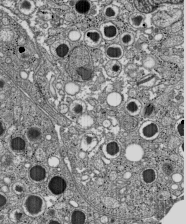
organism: C57BL Mouse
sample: Pancreatic islet